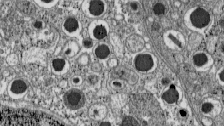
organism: C57BL Mouse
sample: Pancreatic islet